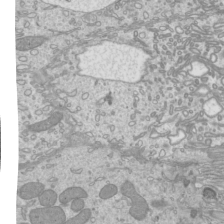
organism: Mouse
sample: Cilia; mouse epididymis